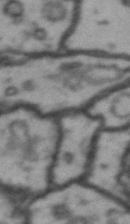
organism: Drosophila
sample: Brain